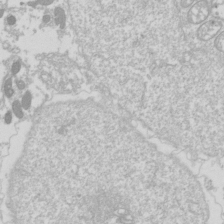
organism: Drosophila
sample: Cell division; meiosis; drosophila spermatocytes